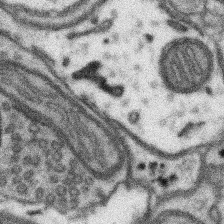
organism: Mouse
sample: Somatosensory cortex neuropil